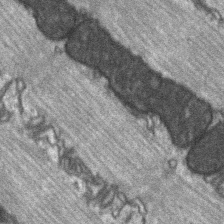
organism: C57BL Mouse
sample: Soleus